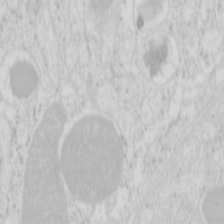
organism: Mouse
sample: Pancreas